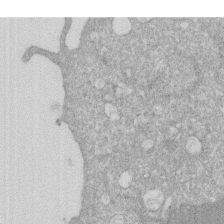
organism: Human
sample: HIV infected U937 cells